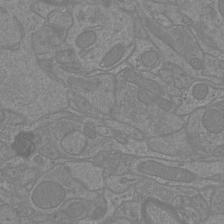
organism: Mouse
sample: Cortical neurons